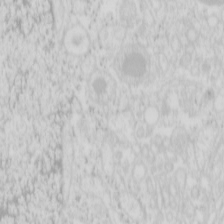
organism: Mouse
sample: Pancreas